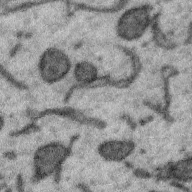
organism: Zebra finch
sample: Brain